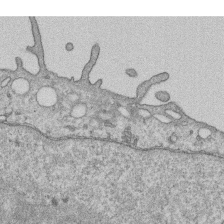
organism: Human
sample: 1205lu cells